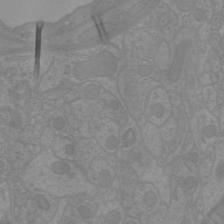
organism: Mouse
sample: Cortical neurons